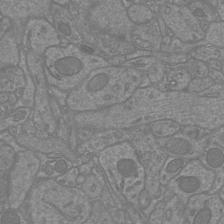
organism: Mouse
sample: Cortical neurons